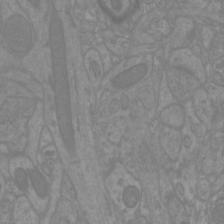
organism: Mouse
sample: Cortical neurons